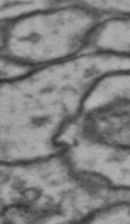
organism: Drosophila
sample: Brain